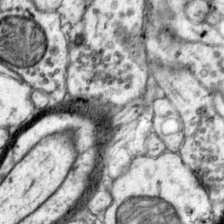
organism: Mouse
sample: Primary visual cortex